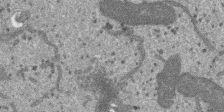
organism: Human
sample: Lung epithelial cells infected with SARS-CoV-2